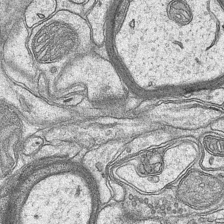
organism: Mouse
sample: CA1 Hippocampus